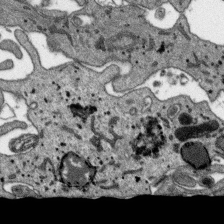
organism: Human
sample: Lung epithelial cells, uninfected (mock) control